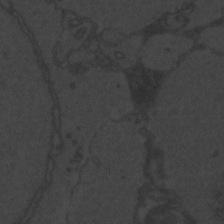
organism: Zebrafish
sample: Macrophage infected with Toxoplasma gondii